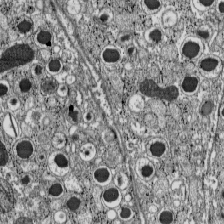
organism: C57BL Mouse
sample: Pancreatic islet